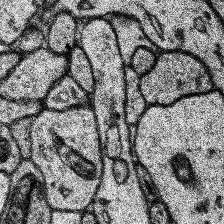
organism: Human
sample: Temporal Lobe